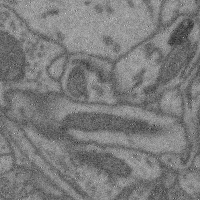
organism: Mouse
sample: Cerebral cortex